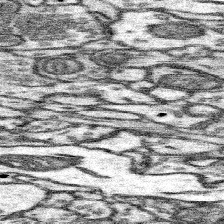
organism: Mouse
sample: Somatosensory cortex neuropil